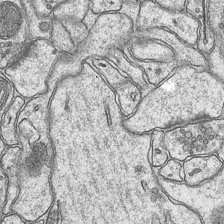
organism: Mouse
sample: CA1 Hippocampus